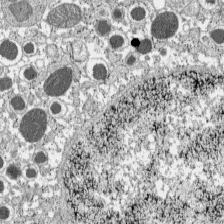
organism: C57BL Mouse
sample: Pancreatic islet